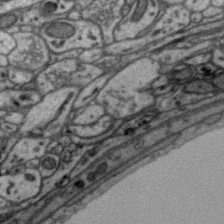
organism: Zebra finch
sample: Brain